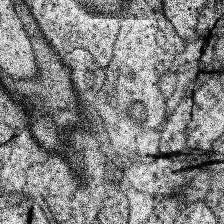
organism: Human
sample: Temporal Lobe